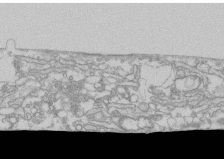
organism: Human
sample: CRL-1474